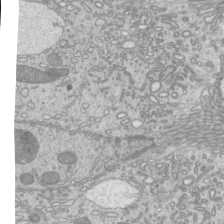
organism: Mouse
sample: Cilia; mouse epididymis